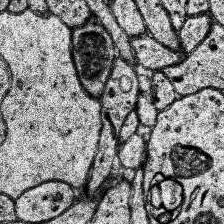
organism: Human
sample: Temporal Lobe